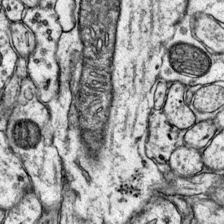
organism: Mouse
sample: Primary visual cortex